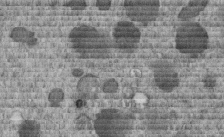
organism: C. elegans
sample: C. elegans embryo early stage